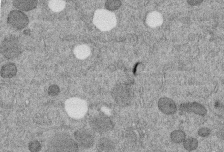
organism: C. elegans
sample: C. elegans embryo early stage